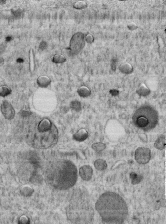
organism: C. elegans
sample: C. elegans embryo early stage